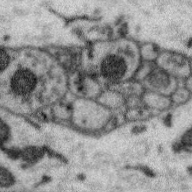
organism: Zebra finch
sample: Brain